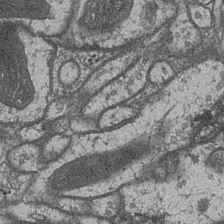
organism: Drosophila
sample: Optic medulla